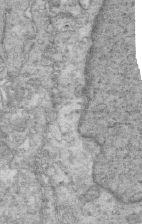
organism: Mouse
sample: Multiciliated cells